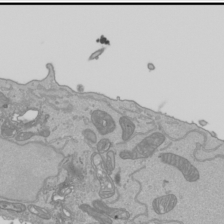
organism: Human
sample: Mitochondria in HCT116 cells